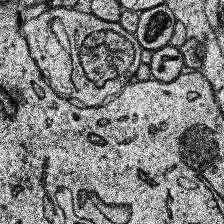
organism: Human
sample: Temporal Lobe